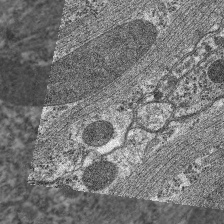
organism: C. elegans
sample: Pharynx